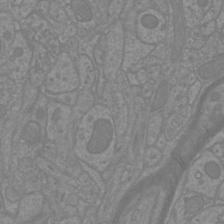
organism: Mouse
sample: Cortical neurons